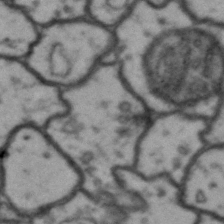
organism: Drosophila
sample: Brain